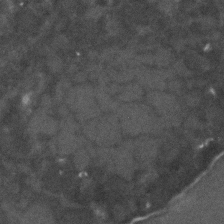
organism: C. elegans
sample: C. elegans embryo